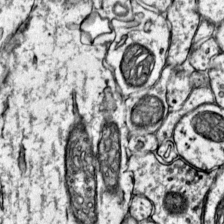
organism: Mouse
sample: Primary visual cortex